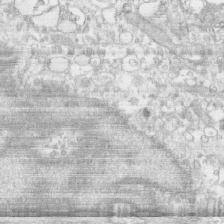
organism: Human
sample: CRL-1474